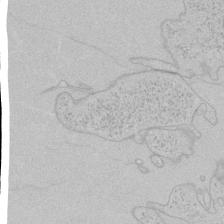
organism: Human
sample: Mitochondria in HCT116 cells